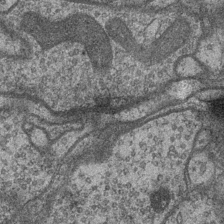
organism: Drosophila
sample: Optic medulla